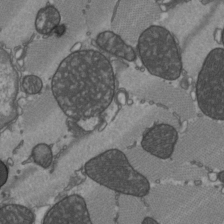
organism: C57BL Mouse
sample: Heart